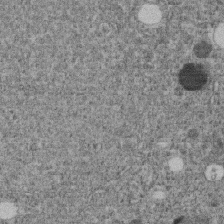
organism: C. elegans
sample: C. elegans embryo early stage